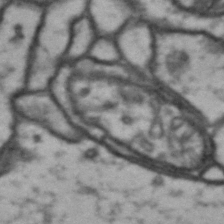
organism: Drosophila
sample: Brain